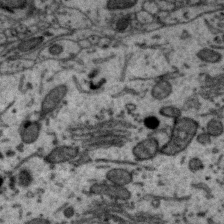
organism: Zebra finch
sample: Brain